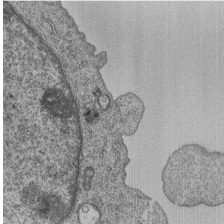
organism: Human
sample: MDA-MB-231 cells